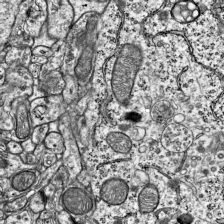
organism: Mouse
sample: Visual Cortex